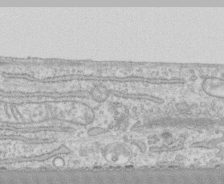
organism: Human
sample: CRL-1474